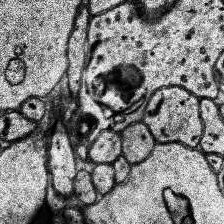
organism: Human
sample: Temporal Lobe